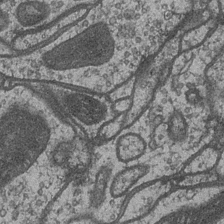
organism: Drosophila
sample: Optic medulla